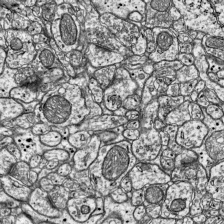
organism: Mouse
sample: Visual Cortex